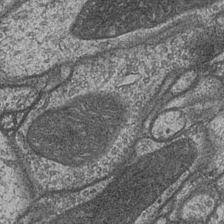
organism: Drosophila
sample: Optic medulla